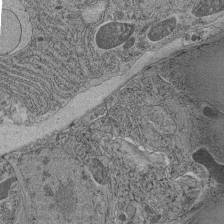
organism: C. elegans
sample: C. elegans pharynx